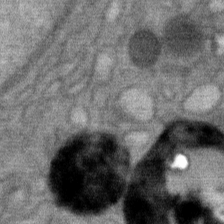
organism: Mouse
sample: Mouse Salivary gland